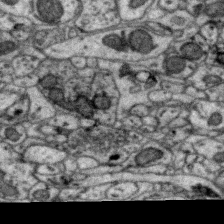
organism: Zebra finch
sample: Brain